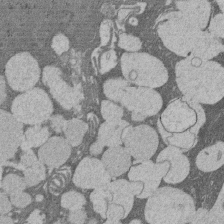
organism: Rat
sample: Salivary granule